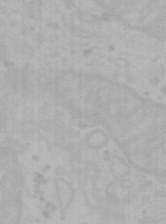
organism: Mouse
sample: Choroid plexus